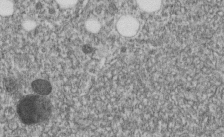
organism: C. elegans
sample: C. elegans embryo early stage